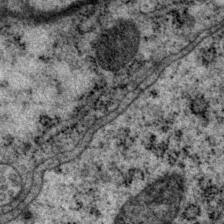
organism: P. pacificus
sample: Pharynx